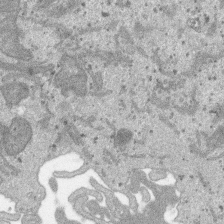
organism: Human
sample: Lung epithelial cells infected with SARS-CoV-2